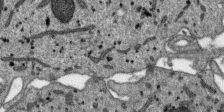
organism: Human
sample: Lung epithelial cells, uninfected (mock) control